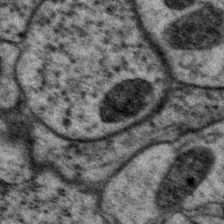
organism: P. pacificus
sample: Pharynx